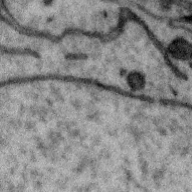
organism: Zebra finch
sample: Brain